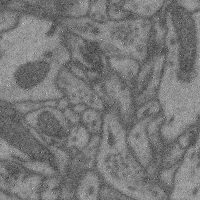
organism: Mouse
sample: Cerebral cortex